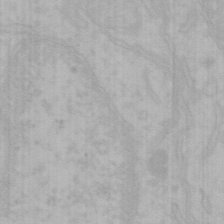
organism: Mouse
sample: Choroid plexus